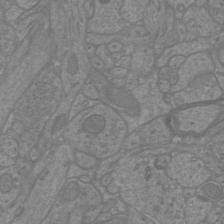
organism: Mouse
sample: Cortical neurons